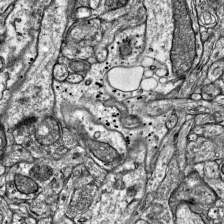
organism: Mouse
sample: Visual Cortex